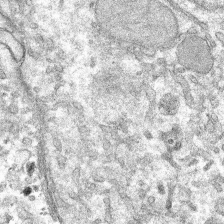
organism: Mouse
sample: Mouse hepatocytes